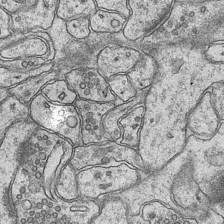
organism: Mouse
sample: CA1 Hippocampus